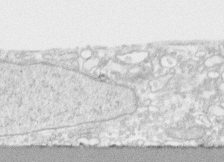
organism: Human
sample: CRL-1474